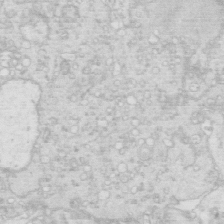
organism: Mouse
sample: Multiciliated cells